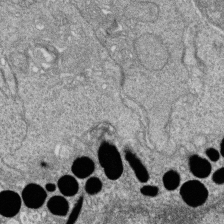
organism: Zebrafish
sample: Cilia; retinal pigment epithelium